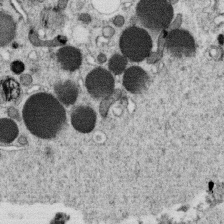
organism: C. elegans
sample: C. elegans oocyte; sperm cells